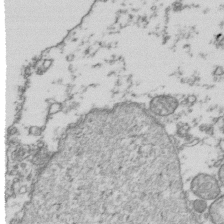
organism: Human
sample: Activated Jurkat CD4+ T cells